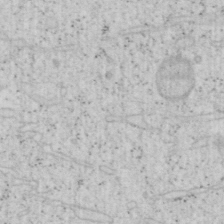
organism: Human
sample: HeLa cells